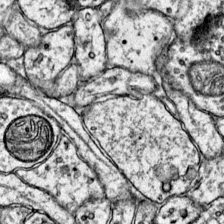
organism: Mouse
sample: Primary visual cortex